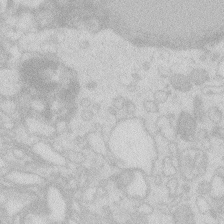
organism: Zebrafish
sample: Macrophage